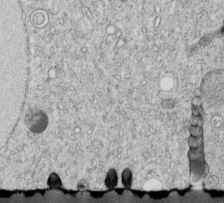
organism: C. elegans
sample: C. elegans embryo early stage